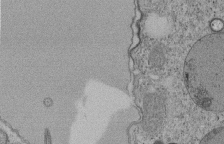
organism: Tetrahymena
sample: Cilia in tetrahymena